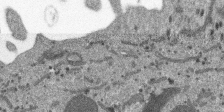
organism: Human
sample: Lung epithelial cells infected with SARS-CoV-2